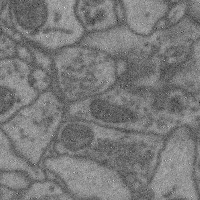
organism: Mouse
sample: Cerebral cortex